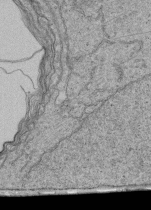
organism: Human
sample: Retinal organoid Rod and Cone cells